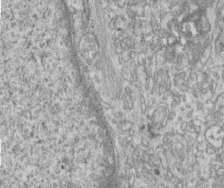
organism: Human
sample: Centriole in fibroblast cells